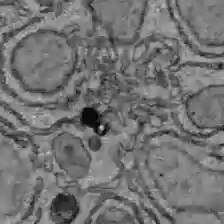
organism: C57BL Mouse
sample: Liver